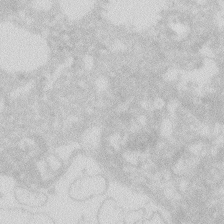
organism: Zebrafish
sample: Macrophage